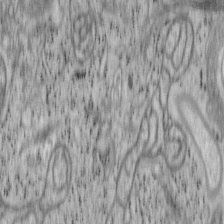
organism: Human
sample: HeLa cells